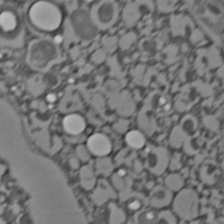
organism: C. elegans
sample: C. elegans embryo